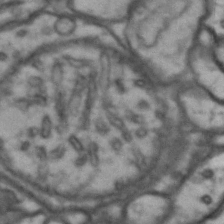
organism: Drosophila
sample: Brain